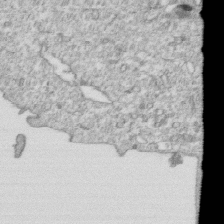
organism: Mouse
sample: Activated OT-1 CD8+ T cells